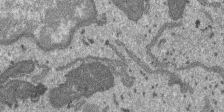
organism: Human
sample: Lung epithelial cells infected with SARS-CoV-2